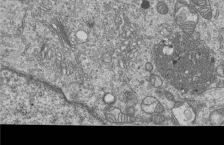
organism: Human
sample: MDA-MB-231 cells